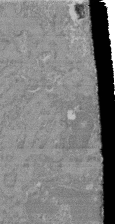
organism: Mouse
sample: Glomerulus